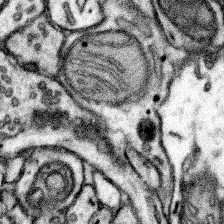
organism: Mouse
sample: Somatosensory cortex neuropil